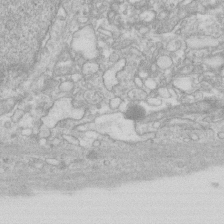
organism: Human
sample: Fibroblast cells